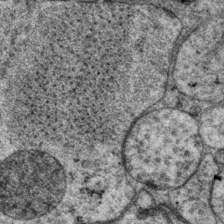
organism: P. pacificus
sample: Pharynx